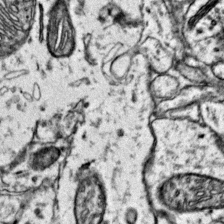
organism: Mouse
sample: Primary visual cortex